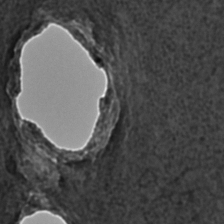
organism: C. elegans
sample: C. elegans embryo